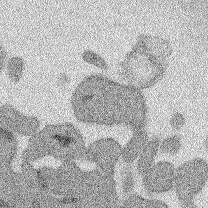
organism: Human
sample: HeLa cells